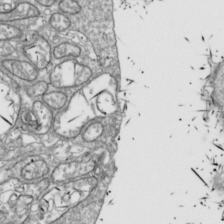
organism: Drosophila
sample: Cell division; meiosis; drosophila spermatocytes